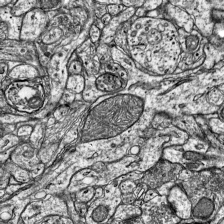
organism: Mouse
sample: Visual Cortex